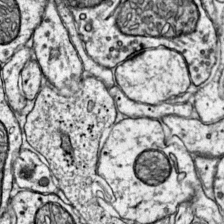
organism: Mouse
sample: Primary visual cortex